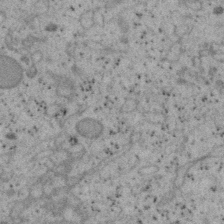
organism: Human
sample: HeLa cells